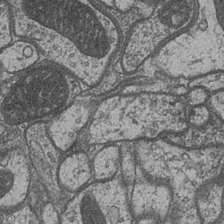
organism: Drosophila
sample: Optic medulla